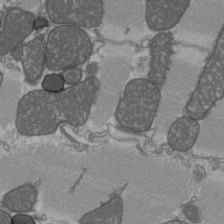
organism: C57BL Mouse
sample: Heart